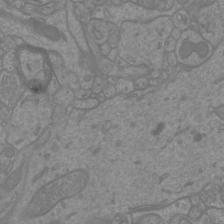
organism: Mouse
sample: Cortical neurons